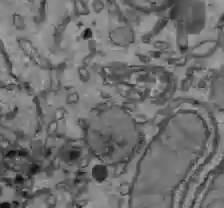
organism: C57BL Mouse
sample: Liver